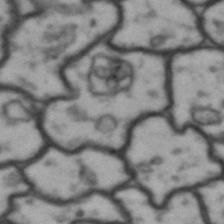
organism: Drosophila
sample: Brain